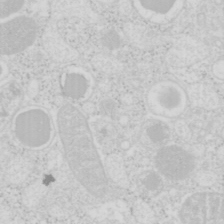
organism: Mouse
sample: Pancreas